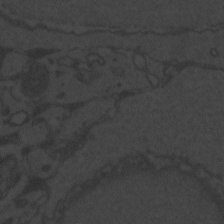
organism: Zebrafish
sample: Macrophage infected with Toxoplasma gondii